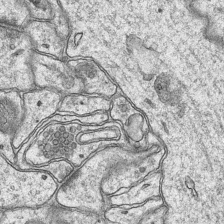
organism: Mouse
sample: CA1 Hippocampus